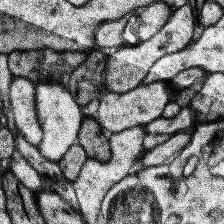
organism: Human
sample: Temporal Lobe